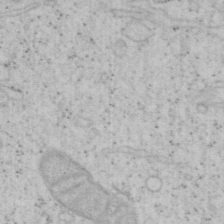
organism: Human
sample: HeLa cells